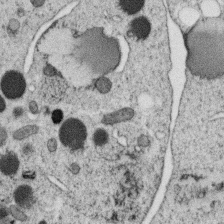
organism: C. elegans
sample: C. elegans oocyte; sperm cells